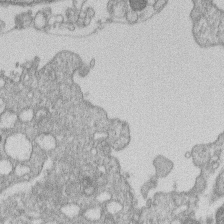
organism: Human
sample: Macrophage cells